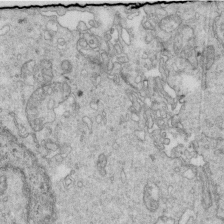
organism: Mouse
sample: Multiciliated cells